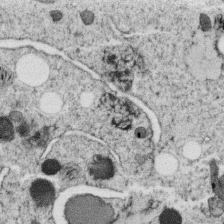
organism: C. elegans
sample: C. elegans oocyte; sperm cells